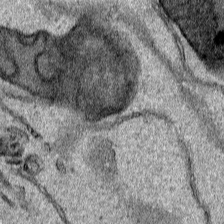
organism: Human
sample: Mitochondria in HCT116 cells